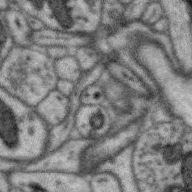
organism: Zebra finch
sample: Brain